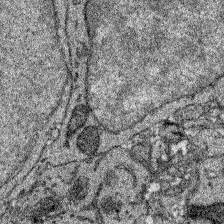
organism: Zebrafish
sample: Larval olfactory bulb